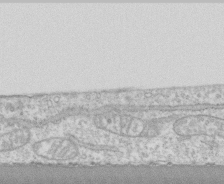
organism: Human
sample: CRL-1474